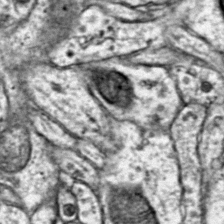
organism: Mouse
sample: Primary visual cortex